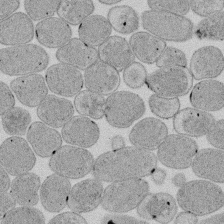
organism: E. coli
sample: Bacterial nucleoid